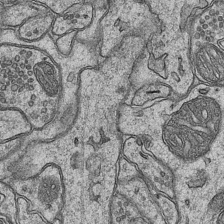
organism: Mouse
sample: CA1 Hippocampus